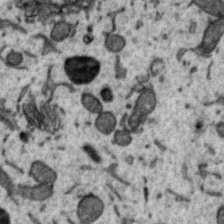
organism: Zebra finch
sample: Brain